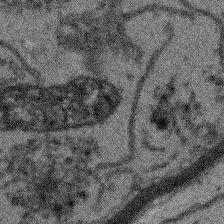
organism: Arabidopsis thaliana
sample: Root tip